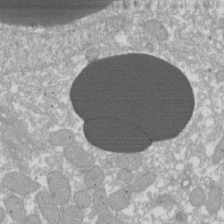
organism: Xenopus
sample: Cilia; centrioles in frog embryo cells